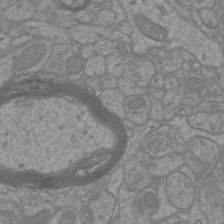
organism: Mouse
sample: Cortical neurons